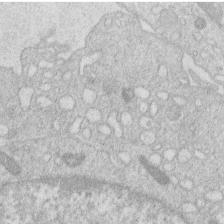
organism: Human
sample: Macrophage cells